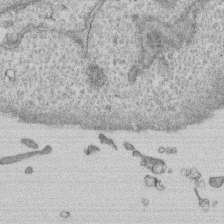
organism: Human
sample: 1205lu cells